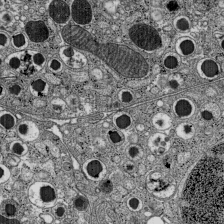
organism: C57BL Mouse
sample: Pancreatic islet